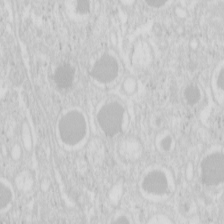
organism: Mouse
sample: Pancreas